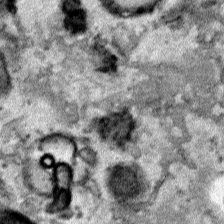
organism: Human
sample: Mitochondria in HCT116 cells